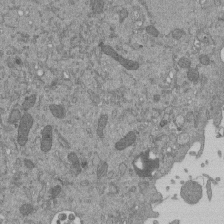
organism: Mouse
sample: ED-1 cell nuclei; centrioles